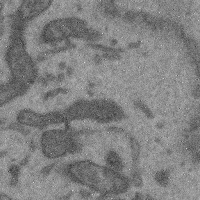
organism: Mouse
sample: Cerebral cortex